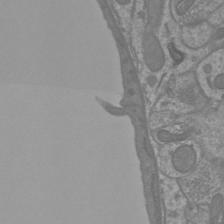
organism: Mouse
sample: Cortical neurons